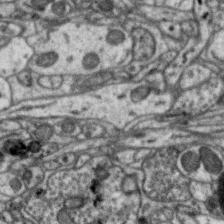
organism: Zebra finch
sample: Brain